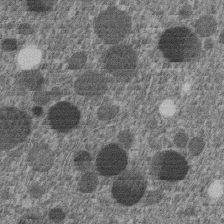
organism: C. elegans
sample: C. elegans embryo early stage